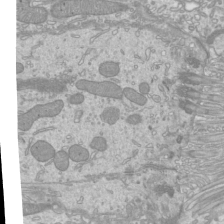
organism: Mouse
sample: Cilia; mouse epididymis